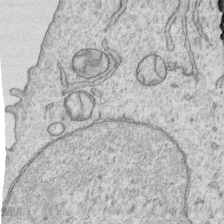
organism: Human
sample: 1205lu cells